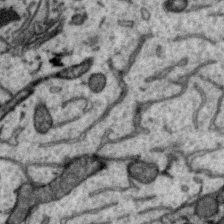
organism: Zebra finch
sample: Brain